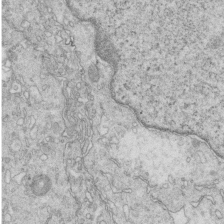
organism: Mouse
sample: Multiciliated cells